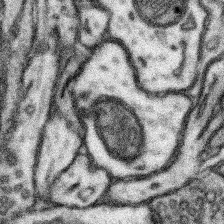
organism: Mouse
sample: Somatosensory cortex neuropil